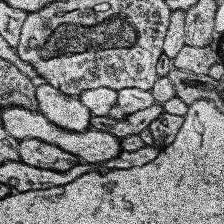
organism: Human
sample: Temporal Lobe